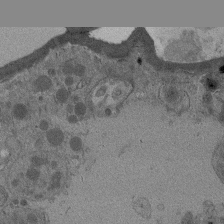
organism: Drosophila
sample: Antenna